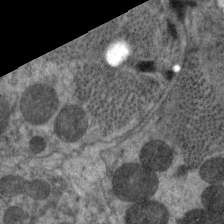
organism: C. elegans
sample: Pharynx